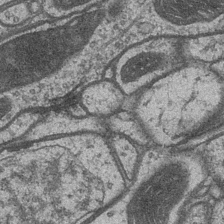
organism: Drosophila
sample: Optic medulla